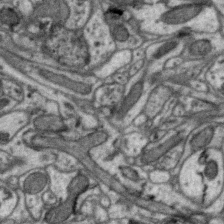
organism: Zebra finch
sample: Brain